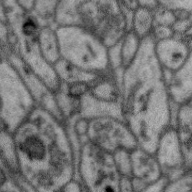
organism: Zebra finch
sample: Brain